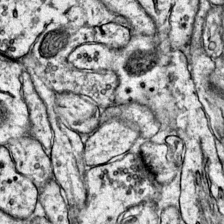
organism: Mouse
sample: Primary visual cortex